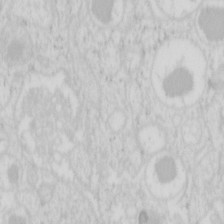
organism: Mouse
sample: Pancreas